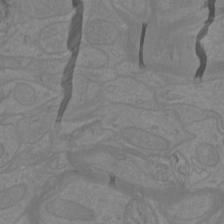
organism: Mouse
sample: Cortical neurons